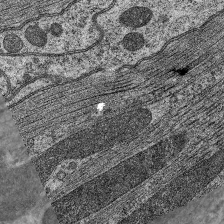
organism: C. elegans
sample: Pharynx